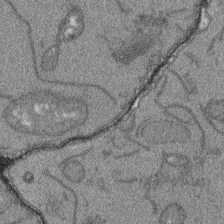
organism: Arabidopsis thaliana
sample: Root tip